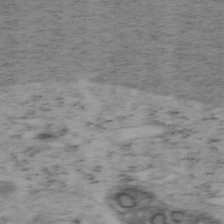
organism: Mouse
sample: OT-I killer T cells with ID8 ovarian cancer cells